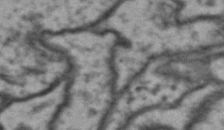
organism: Drosophila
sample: Brain